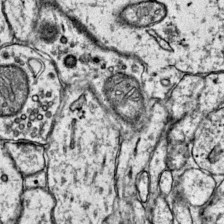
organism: Mouse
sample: Primary visual cortex